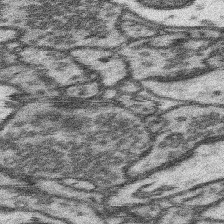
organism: Mouse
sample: Somatosensory cortex neuropil